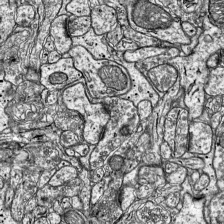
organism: Mouse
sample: Visual Cortex